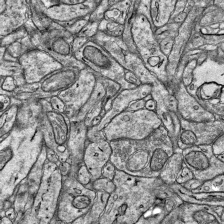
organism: Mouse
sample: Visual Cortex